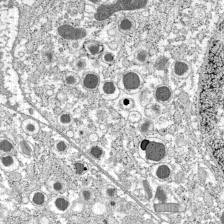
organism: C57BL Mouse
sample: Pancreatic islet